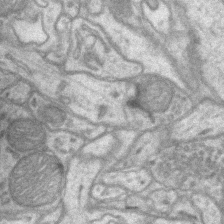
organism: Mouse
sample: CA1 Hippocampus